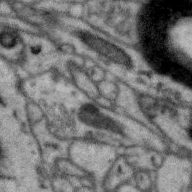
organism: Zebra finch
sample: Brain